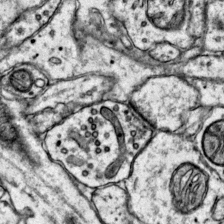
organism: Mouse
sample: Primary visual cortex